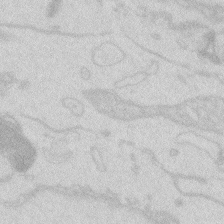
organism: Zebrafish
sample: Macrophage